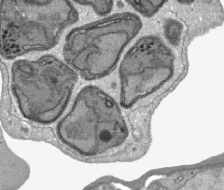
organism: Plasmodium falciparum